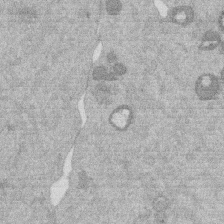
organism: Mouse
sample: Dividing mouse embryo 1 cell stage